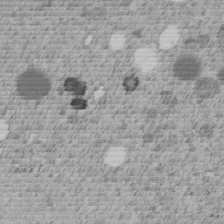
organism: C. elegans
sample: C. elegans embryo early stage